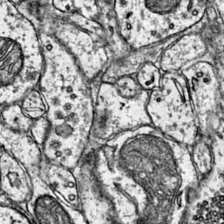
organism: Mouse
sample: Primary visual cortex